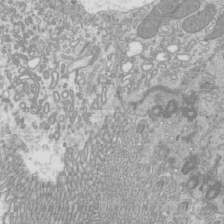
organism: Mouse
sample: Cilia; mouse epididymis